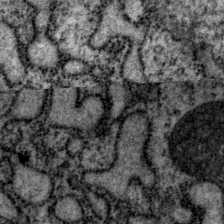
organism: P. pacificus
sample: Pharynx